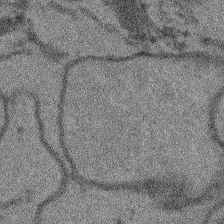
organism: Arabidopsis thaliana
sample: Root tip